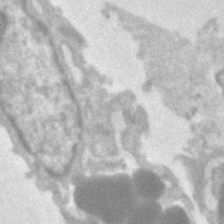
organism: Human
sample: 1205lu cells